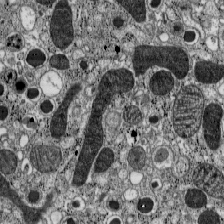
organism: C57BL Mouse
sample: Pancreatic islet